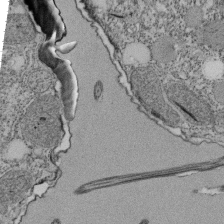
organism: Tetrahymena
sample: Cilia in tetrahymena